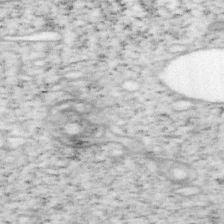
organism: Mouse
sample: OT-I killer T cells with ID8 ovarian cancer cells